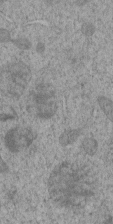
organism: C. elegans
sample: C. elegans embryo early stage